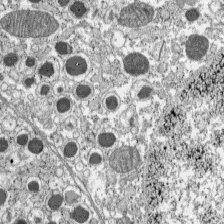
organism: C57BL Mouse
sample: Pancreatic islet